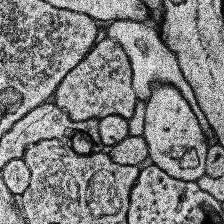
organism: Human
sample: Temporal Lobe